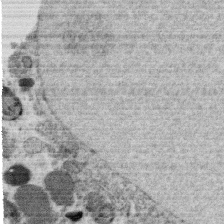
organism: C. elegans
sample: C. elegans oocyte; sperm cells